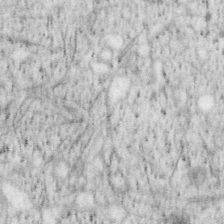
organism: Mouse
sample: OT-I killer T cells with ID8 ovarian cancer cells